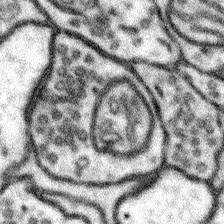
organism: Mouse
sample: Somatosensory cortex neuropil